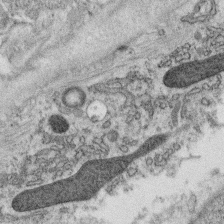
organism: C. elegans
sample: C. elegans oocyte; sperm cells